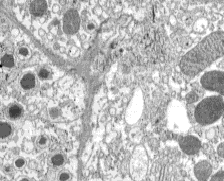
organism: C57BL Mouse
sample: Pancreatic islet